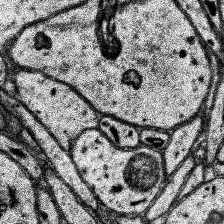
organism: Human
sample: Temporal Lobe